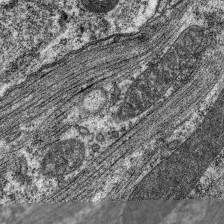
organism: C. elegans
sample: Pharynx